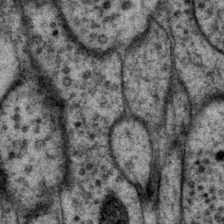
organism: P. pacificus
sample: Pharynx